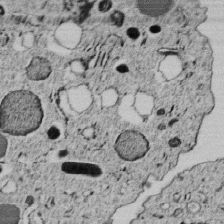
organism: C. elegans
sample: C. elegans embryo early stage